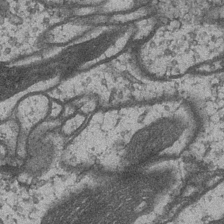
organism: Drosophila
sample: Optic medulla